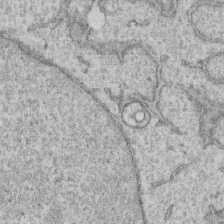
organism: Human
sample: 1205lu cells